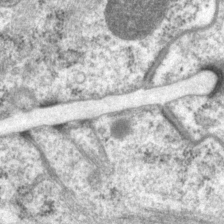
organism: P. pacificus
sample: Pharynx